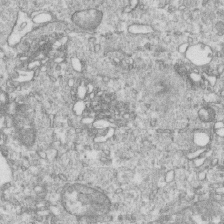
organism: Mouse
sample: Activated OT-1 CD8+ T cells